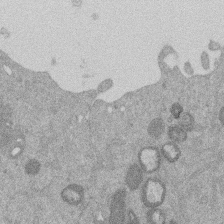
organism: Mouse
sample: Dividing mouse embryo 1 cell stage